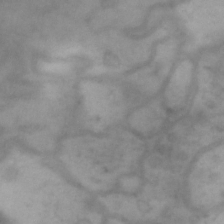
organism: Drosophila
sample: Brain